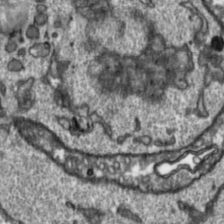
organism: Toxoplasma gondii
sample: Parasites in a vacuole inside a host cell